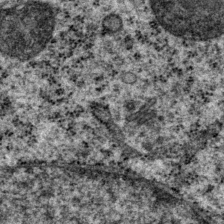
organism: P. pacificus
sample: Pharynx